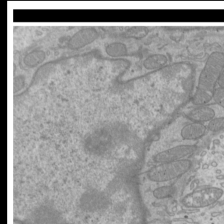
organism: Mouse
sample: Cilia; mouse epididymis